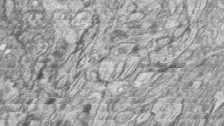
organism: Zebrafish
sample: synaptic ribbons in rod cells and cone cells